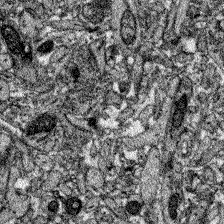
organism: Zebrafish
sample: Larval olfactory bulb